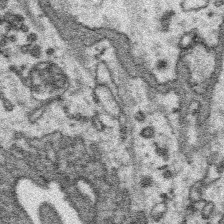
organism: Platynereis dumerilii